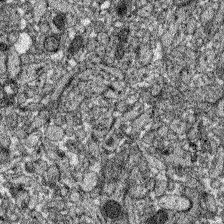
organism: Zebrafish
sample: Larval olfactory bulb